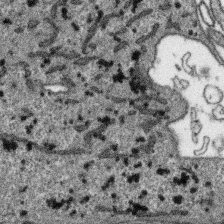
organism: Human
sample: Lung epithelial cells infected with SARS-CoV-2